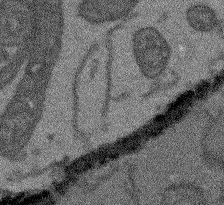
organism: Arabidopsis thaliana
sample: Root tip